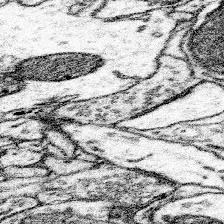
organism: Mouse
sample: Somatosensory cortex neuropil